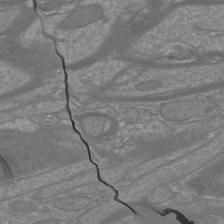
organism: Mouse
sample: Cortical neurons